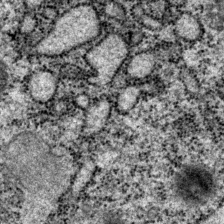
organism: P. pacificus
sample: Pharynx